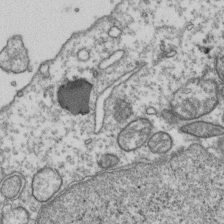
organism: Human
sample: Activated Jurkat CD4+ T cells